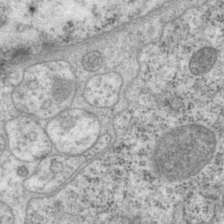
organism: P. pacificus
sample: Pharynx